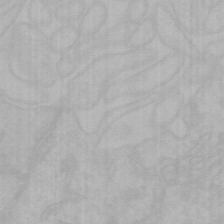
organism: Mouse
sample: Choroid plexus